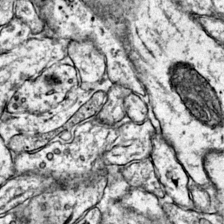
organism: Mouse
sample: Primary visual cortex